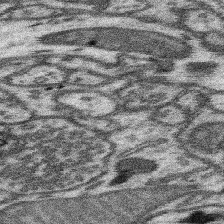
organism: Mouse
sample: Somatosensory cortex neuropil